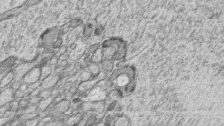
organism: Zebrafish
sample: synaptic ribbons in rod cells and cone cells